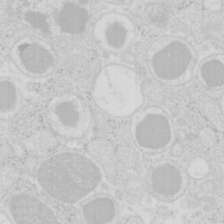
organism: Mouse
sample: Pancreas